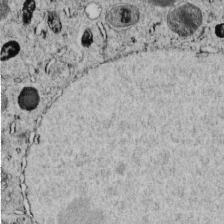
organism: C. elegans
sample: C. elegans embryo early stage